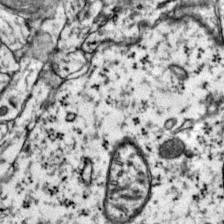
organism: Mouse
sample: Primary visual cortex